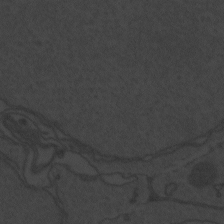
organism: Zebrafish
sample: Macrophage infected with Toxoplasma gondii